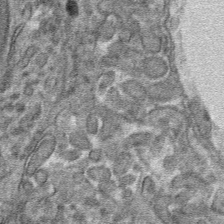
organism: Mouse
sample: Mouse hepatocytes